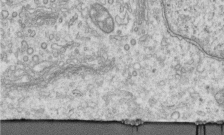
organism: Human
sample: Centriole in RPE cells